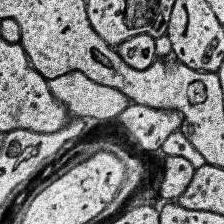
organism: Human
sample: Temporal Lobe